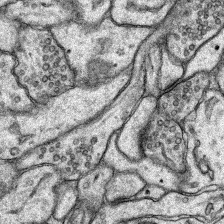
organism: Rat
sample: Hippocampus